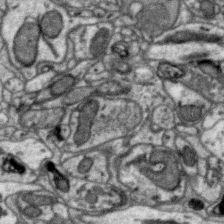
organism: Zebra finch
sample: Brain